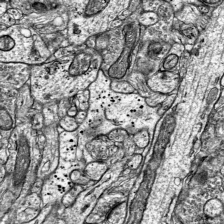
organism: Mouse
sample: Visual Cortex